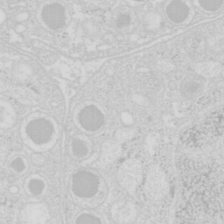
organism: Mouse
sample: Pancreas